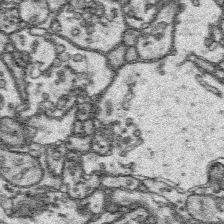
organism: Platynereis dumerilii